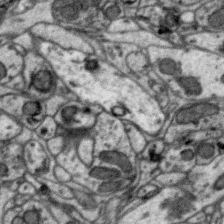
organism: Zebra finch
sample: Brain